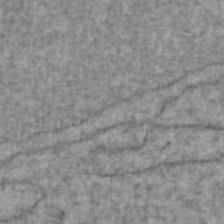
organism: Human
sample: Blood